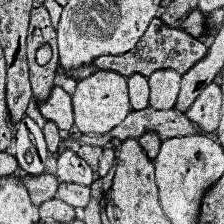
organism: Human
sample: Temporal Lobe